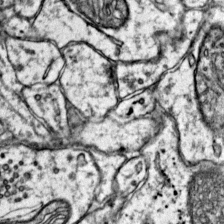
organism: Mouse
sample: Primary visual cortex